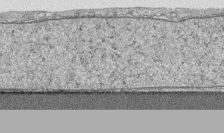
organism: Human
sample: CRL-1474